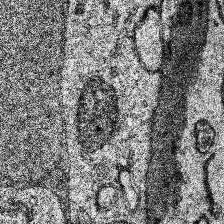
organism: Human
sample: Temporal Lobe